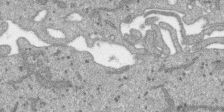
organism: Human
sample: Lung epithelial cells infected with SARS-CoV-2